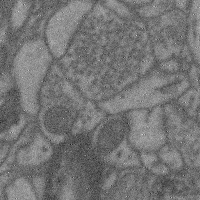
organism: Mouse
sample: Cerebral cortex